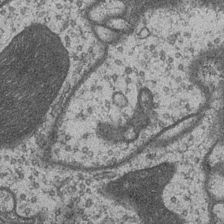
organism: Drosophila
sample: Optic medulla